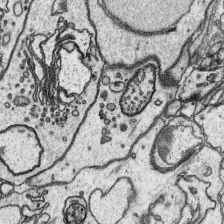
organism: Platynereis dumerilii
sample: Parapodia